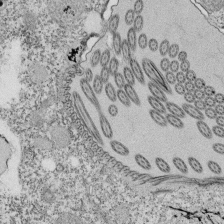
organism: Tetrahymena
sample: Cilia in tetrahymena